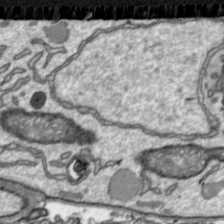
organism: Toxoplasma gondii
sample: Parasites in a vacuole inside a host cell